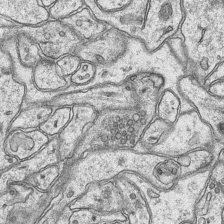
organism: Mouse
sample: CA1 Hippocampus